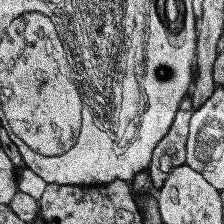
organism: Human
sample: Temporal Lobe